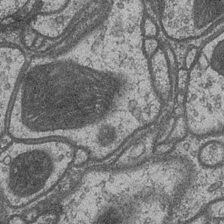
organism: Drosophila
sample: Optic medulla